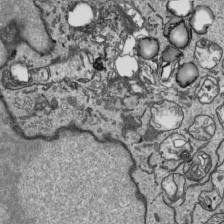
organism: Human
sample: Mitochondria in HCT116 cells